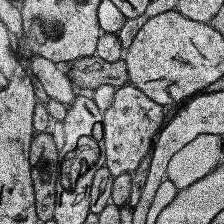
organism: Human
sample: Temporal Lobe